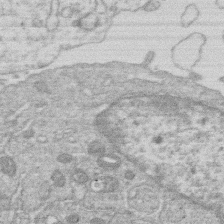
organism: Human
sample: Macrophage cells